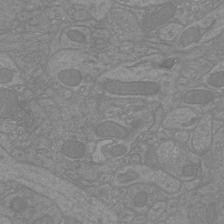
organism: Mouse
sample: Cortical neurons